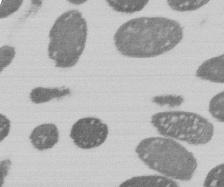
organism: E. coli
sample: Bacterial nucleoid